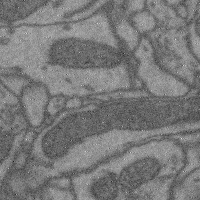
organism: Mouse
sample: Cerebral cortex